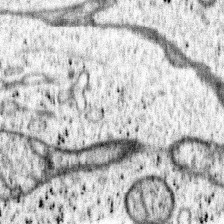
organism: Human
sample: HeLa cells